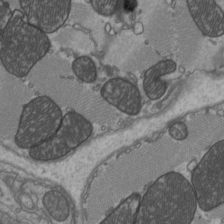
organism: C57BL Mouse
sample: Heart